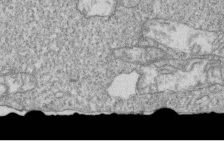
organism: Human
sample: HeLa cell HIV synapse